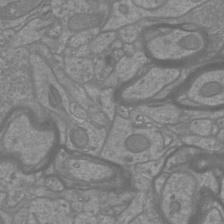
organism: Mouse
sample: Cortical neurons